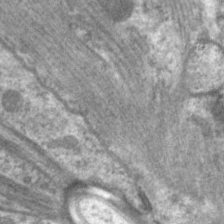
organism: C. elegans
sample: Pharynx